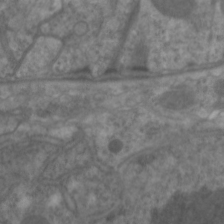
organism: C. elegans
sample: Pharynx